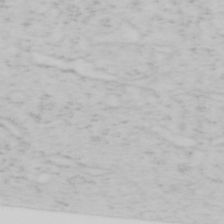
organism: Mouse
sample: OT-I killer T cells with ID8 ovarian cancer cells